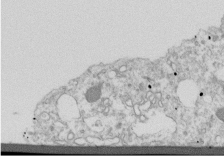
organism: Dictyostelium discoideum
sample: Dictyostelium multivesicular bodies